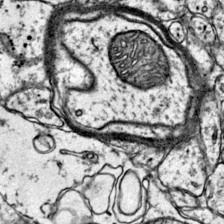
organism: Mouse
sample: Primary visual cortex